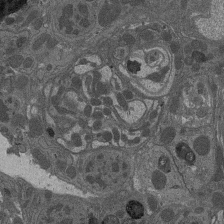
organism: Drosophila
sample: Antenna